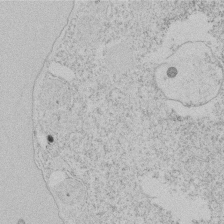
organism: Tetrahymena